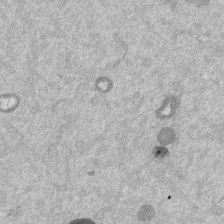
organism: Mouse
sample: Dividing mouse embryo 1 cell stage